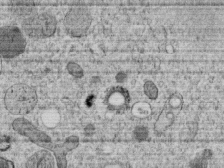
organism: C. elegans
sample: C. elegans embryo early stage